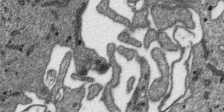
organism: Human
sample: Lung epithelial cells infected with SARS-CoV-2